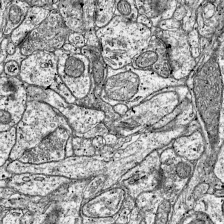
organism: Mouse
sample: Visual Cortex